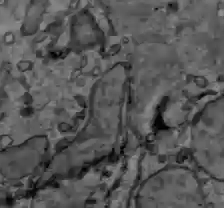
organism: C57BL Mouse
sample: Liver